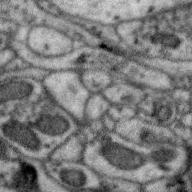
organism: Zebra finch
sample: Brain